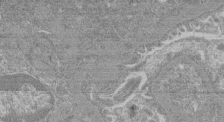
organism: Mouse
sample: Glomerulus